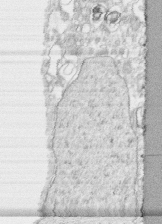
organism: Human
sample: CRL-1474